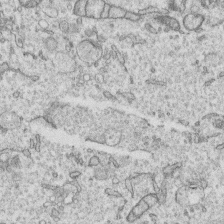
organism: Human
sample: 1205lu cells